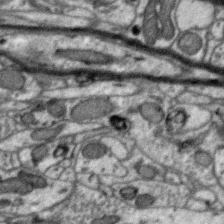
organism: Zebra finch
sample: Brain